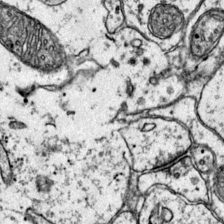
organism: Mouse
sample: Primary visual cortex